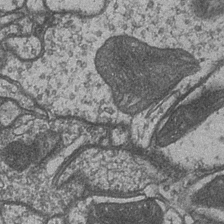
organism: Drosophila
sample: Optic medulla